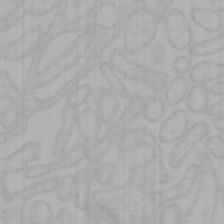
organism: Mouse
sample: Choroid plexus